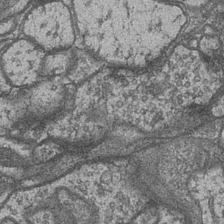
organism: Drosophila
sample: Optic medulla